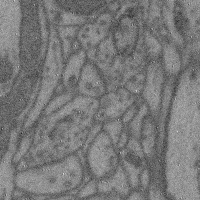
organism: Mouse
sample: Cerebral cortex